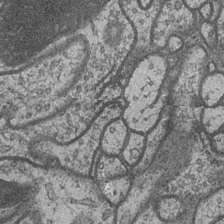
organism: Drosophila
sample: Optic medulla